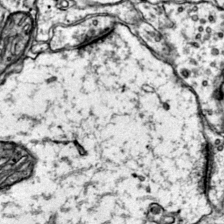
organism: Mouse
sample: Primary visual cortex